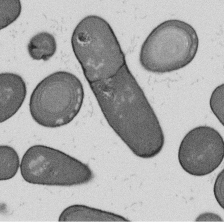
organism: B. subtilis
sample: Bacterial spore